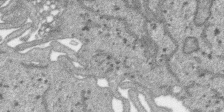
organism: Human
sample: Lung epithelial cells infected with SARS-CoV-2